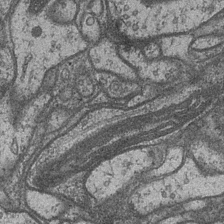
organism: Drosophila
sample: Optic medulla